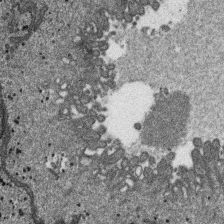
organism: Human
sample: Lung epithelial cells infected with SARS-CoV-2